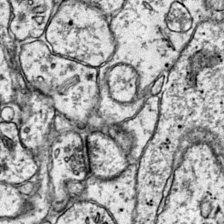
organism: Mouse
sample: Primary visual cortex